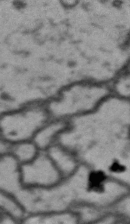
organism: Drosophila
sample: Brain